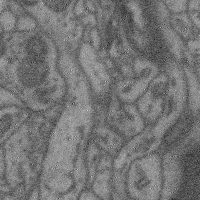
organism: Mouse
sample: Cerebral cortex